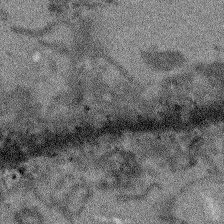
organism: Arabidopsis thaliana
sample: Root tip